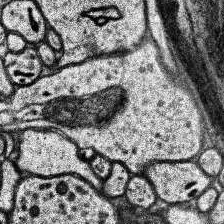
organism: Human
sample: Temporal Lobe